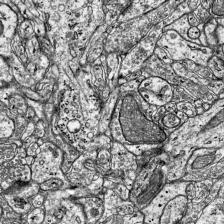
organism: Mouse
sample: Visual Cortex